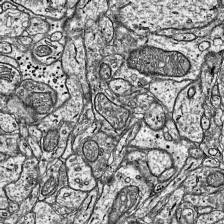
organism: Mouse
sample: Visual Cortex